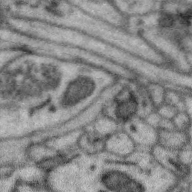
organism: Zebra finch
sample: Brain